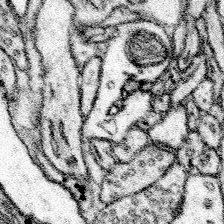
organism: Mouse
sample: Somatosensory cortex neuropil